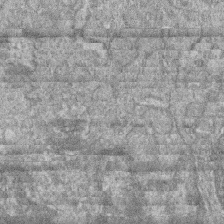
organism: Zebrafish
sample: Cilia; retinal pigment epithelium